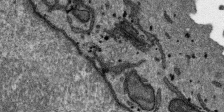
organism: Human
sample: Lung epithelial cells, uninfected (mock) control